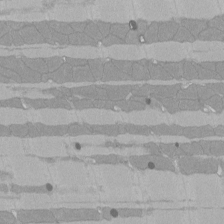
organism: Rat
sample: Left ventricle